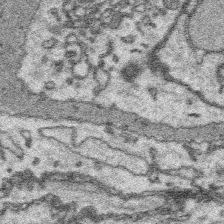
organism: Platynereis dumerilii